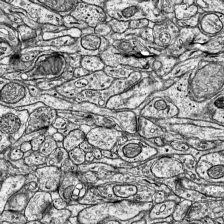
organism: Mouse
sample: Visual Cortex